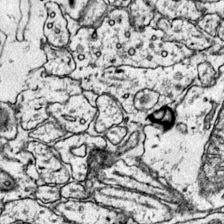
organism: Mouse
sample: Primary visual cortex